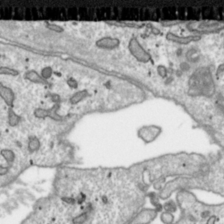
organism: Toxoplasma gondii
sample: Parasites in a vacuole inside a host cell